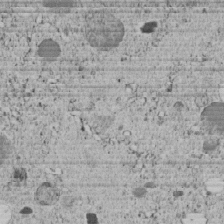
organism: C. elegans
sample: C. elegans embryo early stage